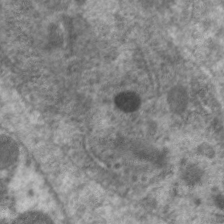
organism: C. elegans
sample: Pharynx